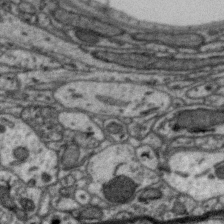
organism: Zebra finch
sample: Brain